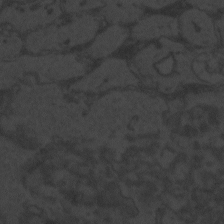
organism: Zebrafish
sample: Macrophage infected with Toxoplasma gondii